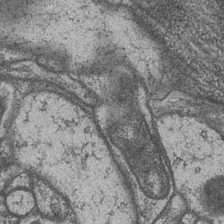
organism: Drosophila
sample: Optic medulla